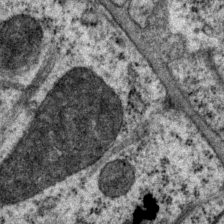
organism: P. pacificus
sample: Pharynx